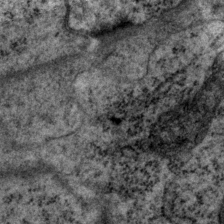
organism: P. pacificus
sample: Pharynx